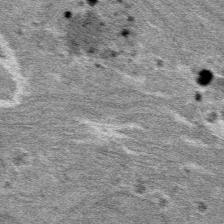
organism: Mouse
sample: Mouse hepatocytes